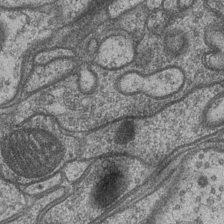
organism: Drosophila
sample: Optic medulla